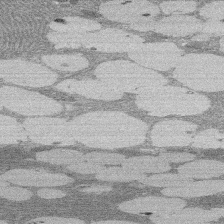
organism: Rat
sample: Salivary granule